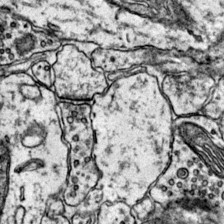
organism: Mouse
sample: Primary visual cortex